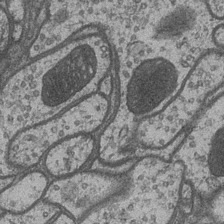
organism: Drosophila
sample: Optic medulla